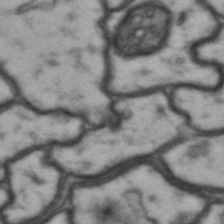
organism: Drosophila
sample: Brain